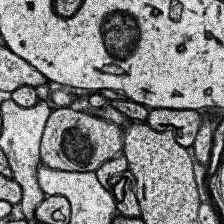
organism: Human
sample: Temporal Lobe